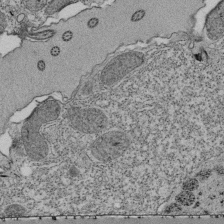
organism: Tetrahymena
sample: Cilia in tetrahymena